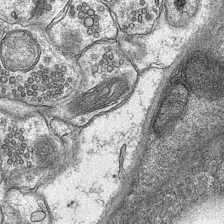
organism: Mouse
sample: CA1 Hippocampus